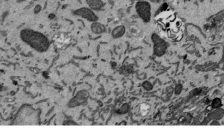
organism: Mouse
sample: ED-1 cell nuclei; centrioles